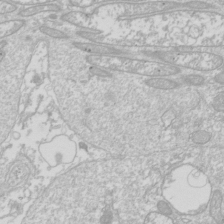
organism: Drosophila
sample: Cell division; meiosis; drosophila spermatocytes